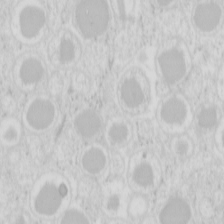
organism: Mouse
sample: Pancreas